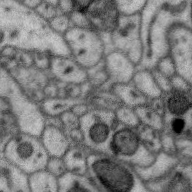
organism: Zebra finch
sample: Brain